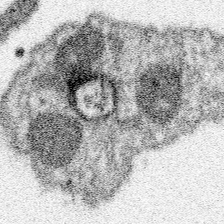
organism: Spongilla lacustris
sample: Neuroid cell